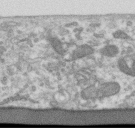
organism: Human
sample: Centriole in RPE cells